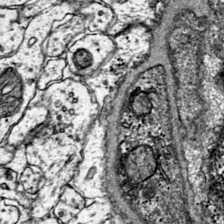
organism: Mouse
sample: Primary visual cortex